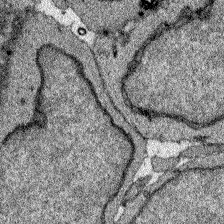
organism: Zebrafish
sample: Larval olfactory bulb